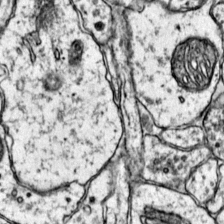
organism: Mouse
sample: Primary visual cortex